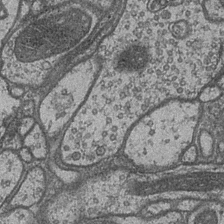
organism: Drosophila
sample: Optic medulla